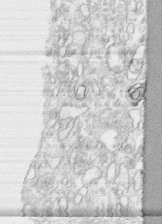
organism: Human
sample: CRL-1474